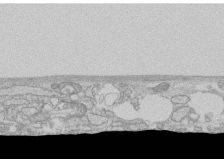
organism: Human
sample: CRL-1474